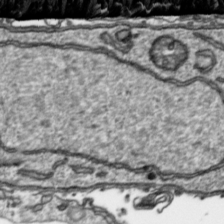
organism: Toxoplasma gondii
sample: Parasites in a vacuole inside a host cell